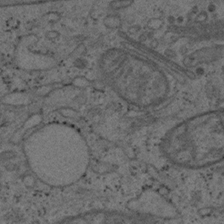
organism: Human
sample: HeLa cells